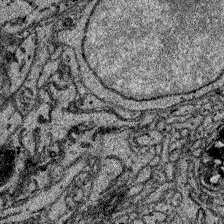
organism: Zebrafish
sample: Larval olfactory bulb